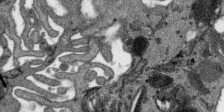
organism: Human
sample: Lung epithelial cells, uninfected (mock) control